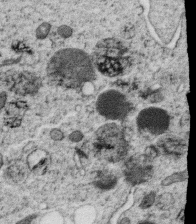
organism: C. elegans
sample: C. elegans oocyte; sperm cells